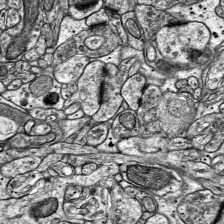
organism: Mouse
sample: Visual Cortex